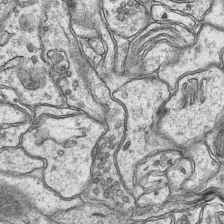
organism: Mouse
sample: CA1 Hippocampus